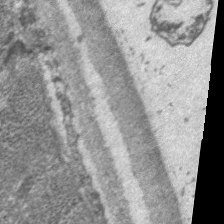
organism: C. elegans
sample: Pharynx